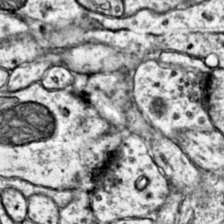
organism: Mouse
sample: Primary visual cortex